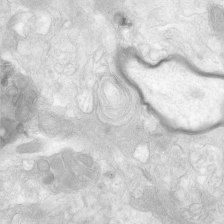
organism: Human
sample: Neocortex